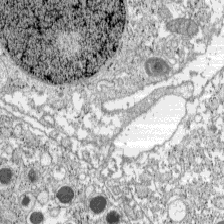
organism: C57BL Mouse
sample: Pancreatic islet